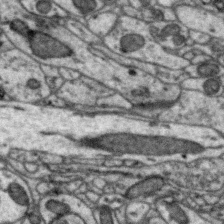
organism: Zebra finch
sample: Brain